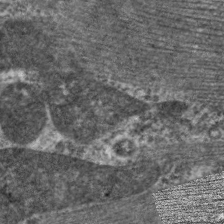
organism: C. elegans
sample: Pharynx